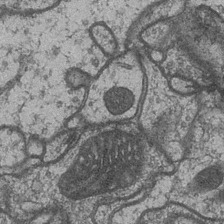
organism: Drosophila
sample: Optic medulla